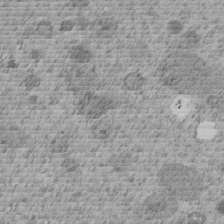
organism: C. elegans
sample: C. elegans embryo early stage